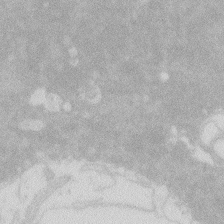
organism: Zebrafish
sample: Macrophage